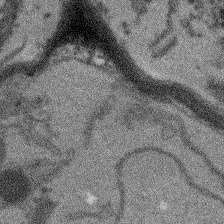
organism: Arabidopsis thaliana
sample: Root tip